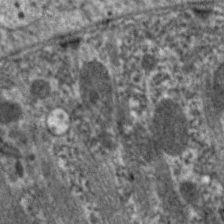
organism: C. elegans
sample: Pharynx